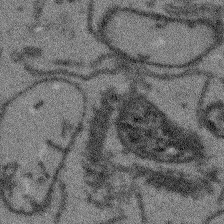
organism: Arabidopsis thaliana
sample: Root tip